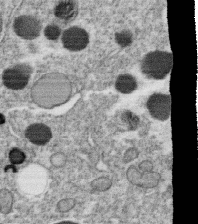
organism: C. elegans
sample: C. elegans oocyte; sperm cells